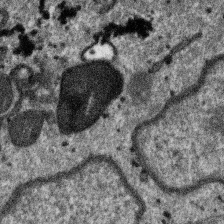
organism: Human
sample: Lung epithelial cells infected with SARS-CoV-2